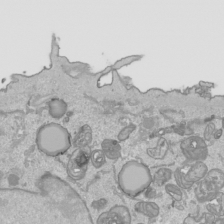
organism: Human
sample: Mitochondria in HCT116 cells